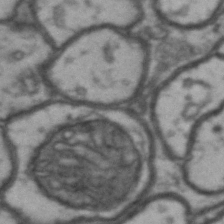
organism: Drosophila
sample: Brain